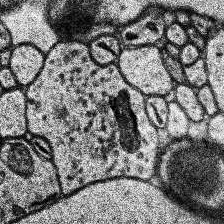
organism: Human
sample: Temporal Lobe